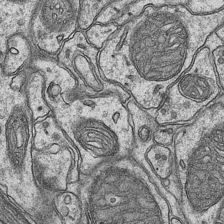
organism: Mouse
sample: CA1 Hippocampus